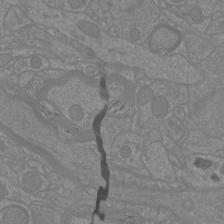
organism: Mouse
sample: Cortical neurons